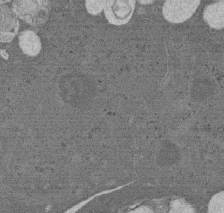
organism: Rat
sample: Salivary granule